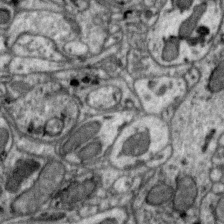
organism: Zebra finch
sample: Brain